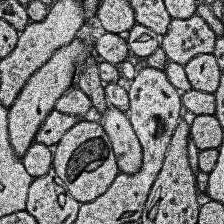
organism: Human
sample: Temporal Lobe